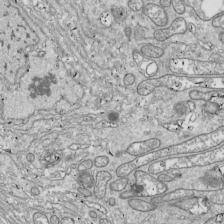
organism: Drosophila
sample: Cell division; meiosis; drosophila spermatocytes